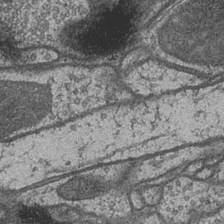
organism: Drosophila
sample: Optic medulla